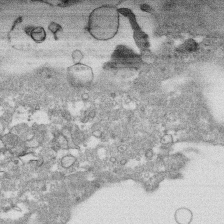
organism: Human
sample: CRL-1474